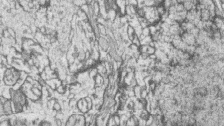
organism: Zebrafish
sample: synaptic ribbons in rod cells and cone cells